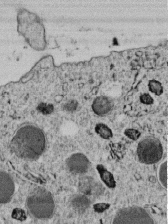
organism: C. elegans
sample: C. elegans embryo early stage